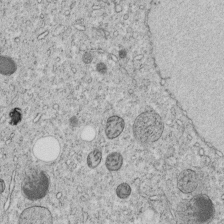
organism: C. elegans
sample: C. elegans embryo early stage